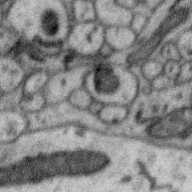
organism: Zebra finch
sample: Brain